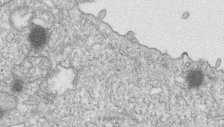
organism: Human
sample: HeLa cell HIV synapse